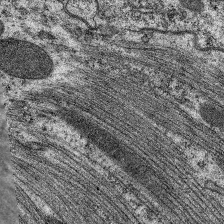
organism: C. elegans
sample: Pharynx